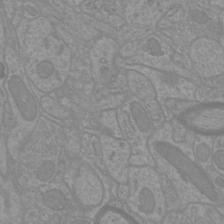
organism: Mouse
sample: Cortical neurons